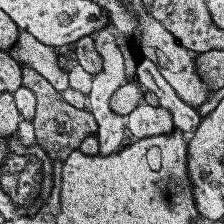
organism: Human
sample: Temporal Lobe